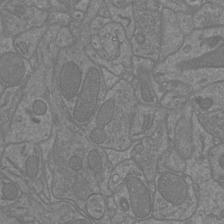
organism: Mouse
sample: Cortical neurons